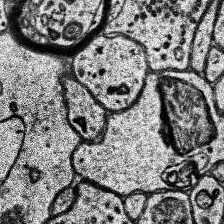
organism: Human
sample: Temporal Lobe